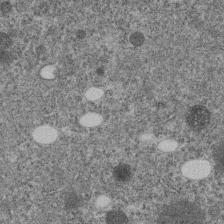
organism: C. elegans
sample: C. elegans embryo early stage